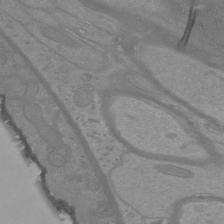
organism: Mouse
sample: Cortical neurons